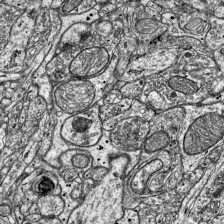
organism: Mouse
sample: Visual Cortex